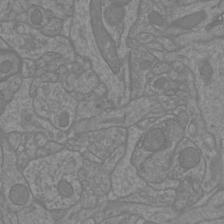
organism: Mouse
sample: Cortical neurons